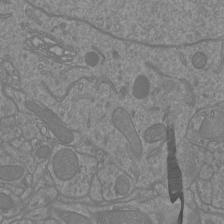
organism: Mouse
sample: Cortical neurons